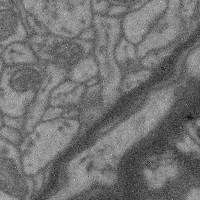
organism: Mouse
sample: Cerebral cortex